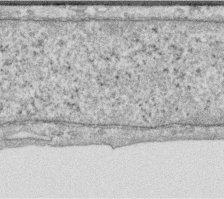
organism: Human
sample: Centriole in RPE cells